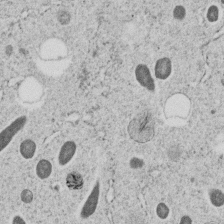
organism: C. elegans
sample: C. elegans embryo early stage